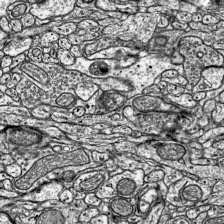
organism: Mouse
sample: Visual Cortex